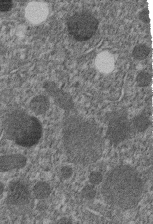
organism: C. elegans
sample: C. elegans embryo early stage